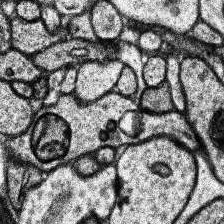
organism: Human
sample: Temporal Lobe